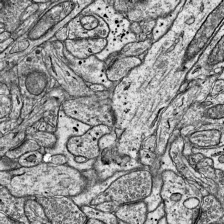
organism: Mouse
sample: Visual Cortex